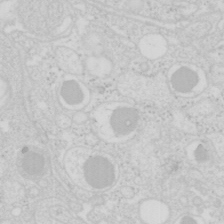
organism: Mouse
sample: Pancreas